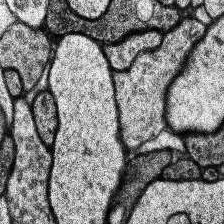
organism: Human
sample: Temporal Lobe